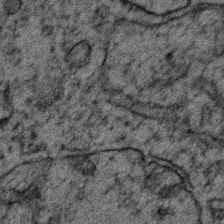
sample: Trachea